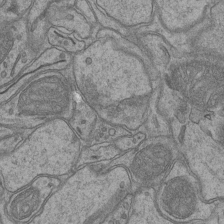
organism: Mouse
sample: CA1 Hippocampus